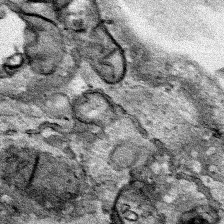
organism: Human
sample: Mitochondria in HCT116 cells